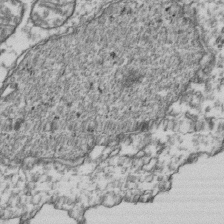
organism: Human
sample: Activated Jurkat CD4+ T cells